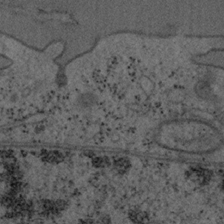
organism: Human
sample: HeLa cells